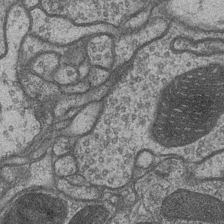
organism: Drosophila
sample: Optic medulla